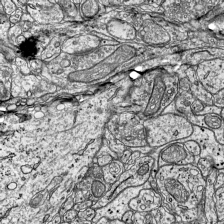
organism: Mouse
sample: Visual Cortex